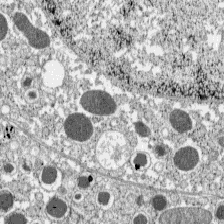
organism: C57BL Mouse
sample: Pancreatic islet